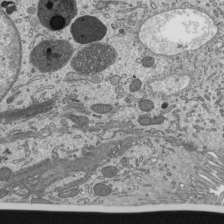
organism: Mouse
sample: Mouse epididymis efferent ductule cilia